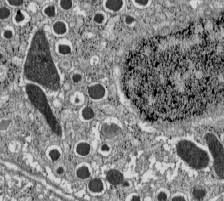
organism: C57BL Mouse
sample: Pancreatic islet